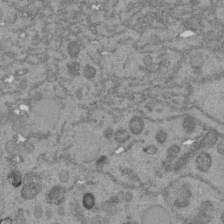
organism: C. elegans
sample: C. elegans embryo early stage